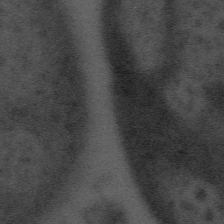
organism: Tuwongella immobilis